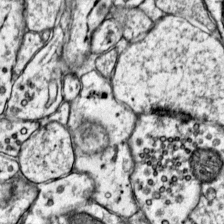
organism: Mouse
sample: Primary visual cortex